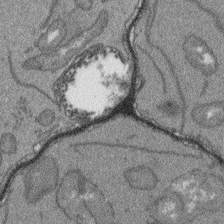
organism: Arabidopsis thaliana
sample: Root tip